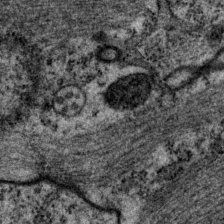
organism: P. pacificus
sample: Pharynx